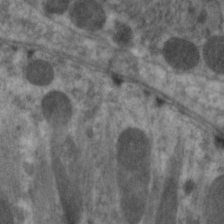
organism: C. elegans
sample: Pharynx